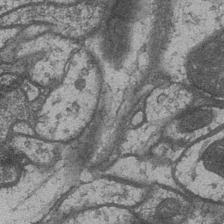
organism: Drosophila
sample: Optic medulla